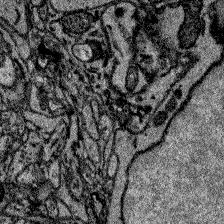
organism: Zebrafish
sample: Larval olfactory bulb